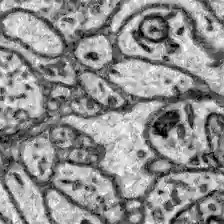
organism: Zebrafish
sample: Brain